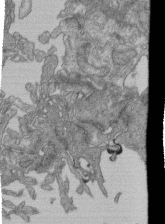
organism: Human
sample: Retinal organoid Rod and Cone cells